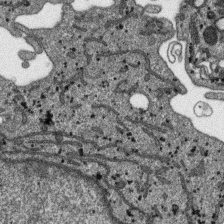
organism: Human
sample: Lung epithelial cells infected with SARS-CoV-2